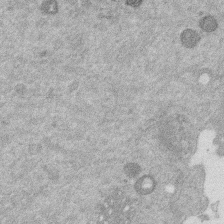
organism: Mouse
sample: Dividing mouse embryo 1 cell stage